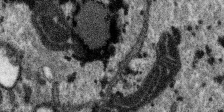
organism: Human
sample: Lung epithelial cells infected with SARS-CoV-2